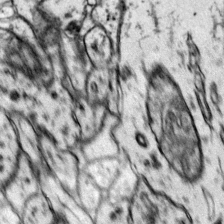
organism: Mouse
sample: Primary visual cortex